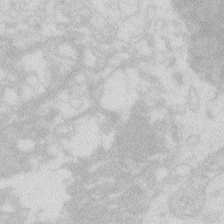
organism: Zebrafish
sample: Macrophage